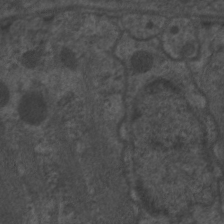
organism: C. elegans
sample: Pharynx